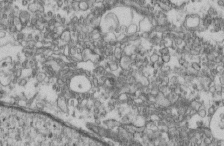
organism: Mouse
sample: Cilia; retinal pigment epithelium